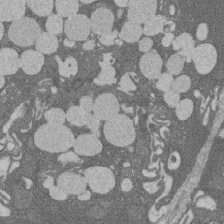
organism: Rat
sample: Salivary granule